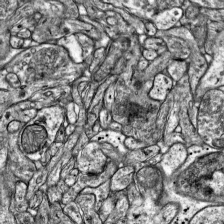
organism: Mouse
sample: Visual Cortex